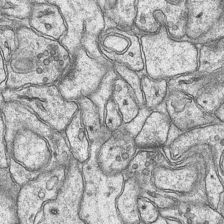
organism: Mouse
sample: CA1 Hippocampus